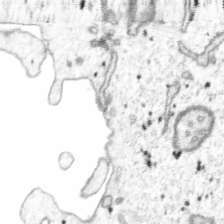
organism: Human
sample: HeLa cells